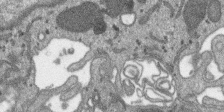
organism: Human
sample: Lung epithelial cells infected with SARS-CoV-2